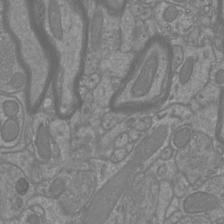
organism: Mouse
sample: Cortical neurons